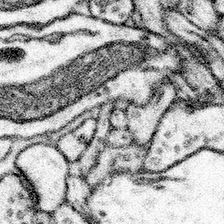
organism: Mouse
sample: Somatosensory cortex neuropil